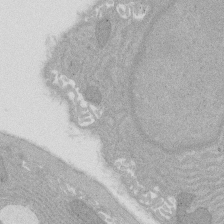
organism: Rat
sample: Salivary granule